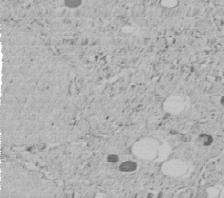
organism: C. elegans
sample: C. elegans embryo early stage